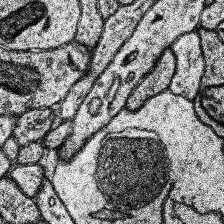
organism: Human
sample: Temporal Lobe